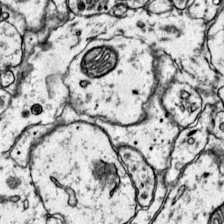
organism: Mouse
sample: Primary visual cortex